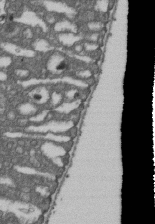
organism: Drosophila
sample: Nephrocyte